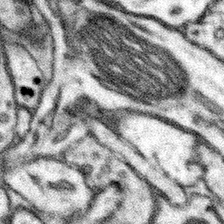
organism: Mouse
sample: Somatosensory cortex neuropil